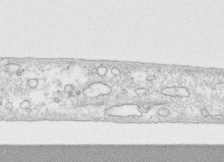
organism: Human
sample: CRL-1474